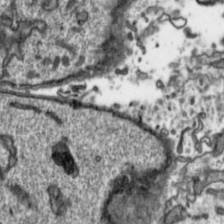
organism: Toxoplasma gondii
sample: Parasites in a vacuole inside a host cell